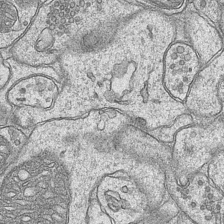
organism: Mouse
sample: CA1 Hippocampus